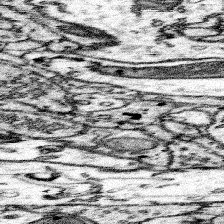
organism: Mouse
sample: Somatosensory cortex neuropil